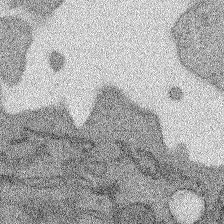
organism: Human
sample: HeLa cells